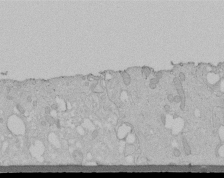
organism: Human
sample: Melanocyte Keratinocyte synapse skin construct